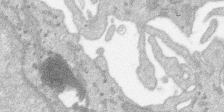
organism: Human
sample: Lung epithelial cells infected with SARS-CoV-2